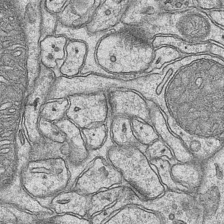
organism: Mouse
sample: CA1 Hippocampus